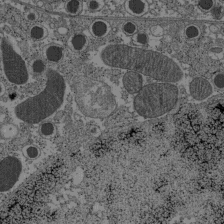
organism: C57BL Mouse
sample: Pancreatic islet